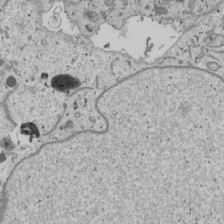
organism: Human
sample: Mitochondria in U2OS cells